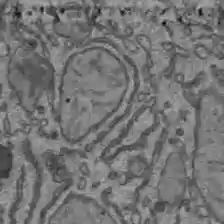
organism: C57BL Mouse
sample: Liver